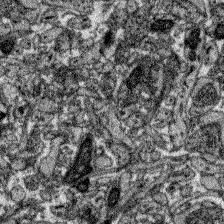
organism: Zebrafish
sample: Larval olfactory bulb